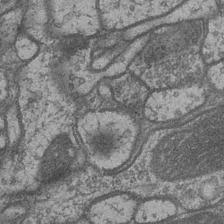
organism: Drosophila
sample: Optic medulla